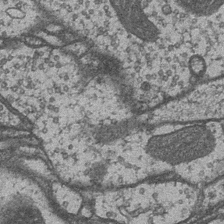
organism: Drosophila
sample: Optic medulla